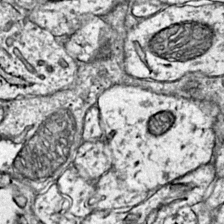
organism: Mouse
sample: Primary visual cortex